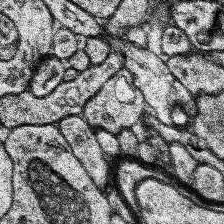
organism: Human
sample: Temporal Lobe